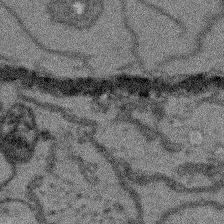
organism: Arabidopsis thaliana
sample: Root tip